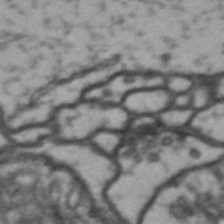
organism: Drosophila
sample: Brain